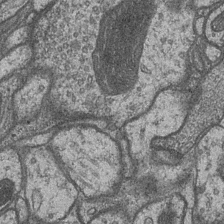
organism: Drosophila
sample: Optic medulla